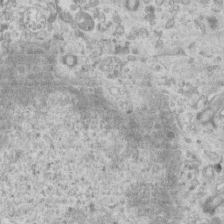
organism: Mouse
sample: Centriole in ependymal cells